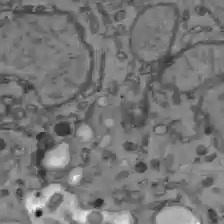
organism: C57BL Mouse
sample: Liver